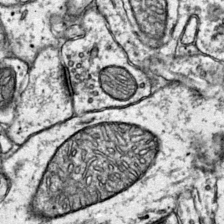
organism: Mouse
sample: Primary visual cortex